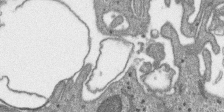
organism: Human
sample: Lung epithelial cells infected with SARS-CoV-2